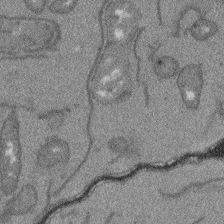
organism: Arabidopsis thaliana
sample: Root tip